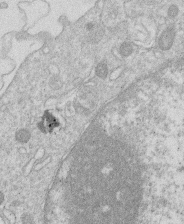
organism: Human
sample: Macrophage cells